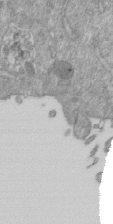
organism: Mouse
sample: ED-1 cell nuclei; centrioles